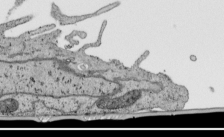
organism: Human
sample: Mitochondria in HCT116 cells